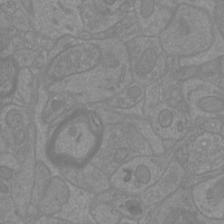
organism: Mouse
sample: Cortical neurons